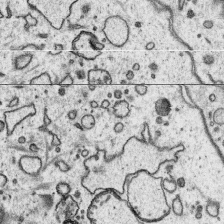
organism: Platynereis dumerilii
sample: Parapodia